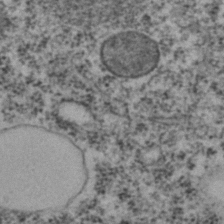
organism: C. elegans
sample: C. elegans embryo